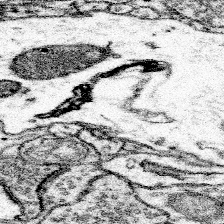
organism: Mouse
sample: Somatosensory cortex neuropil